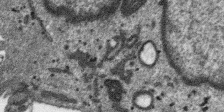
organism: Human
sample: Lung epithelial cells infected with SARS-CoV-2